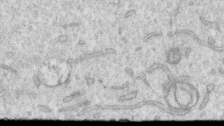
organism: Human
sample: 1205lu cells